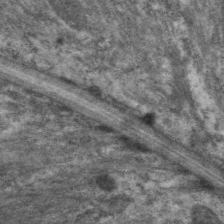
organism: C. elegans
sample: Pharynx